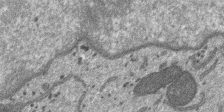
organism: Human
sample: Lung epithelial cells infected with SARS-CoV-2